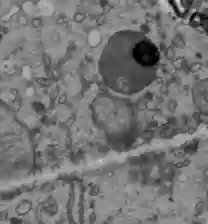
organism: C57BL Mouse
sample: Liver